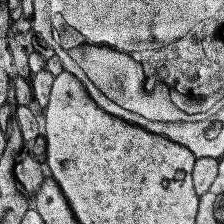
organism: Human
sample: Temporal Lobe